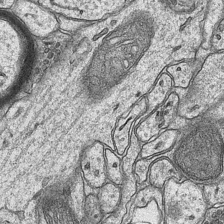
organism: Mouse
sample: CA1 Hippocampus